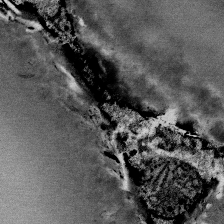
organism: Mouse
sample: Mouse Salivary gland